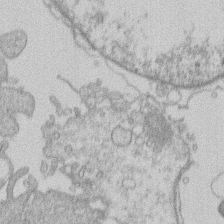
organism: Human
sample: Macrophage cells